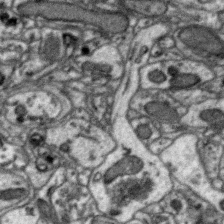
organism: Zebra finch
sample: Brain